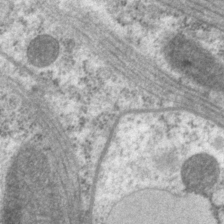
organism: P. pacificus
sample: Pharynx